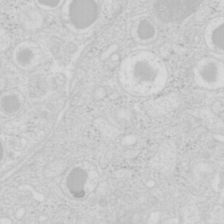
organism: Mouse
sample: Pancreas